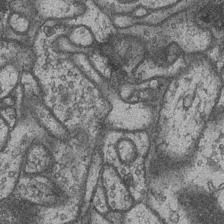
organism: Drosophila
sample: Optic medulla